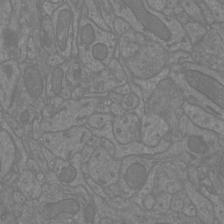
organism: Mouse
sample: Cortical neurons